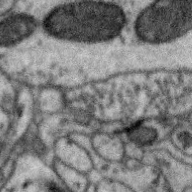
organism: Zebra finch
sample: Brain